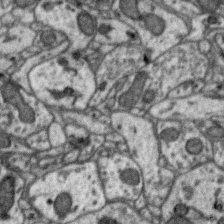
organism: Zebra finch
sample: Brain